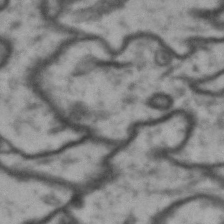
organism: Drosophila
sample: Brain